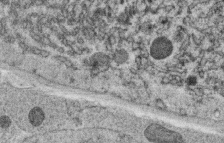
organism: C. elegans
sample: C. elegans oocyte; sperm cells